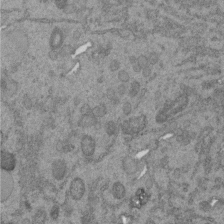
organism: C. elegans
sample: C. elegans embryo early stage